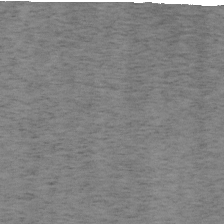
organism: Mouse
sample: OT-I killer T cells with ID8 ovarian cancer cells